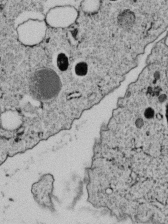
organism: C. elegans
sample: C. elegans embryo early stage